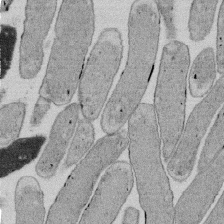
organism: E. coli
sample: Bacterial nucleoid